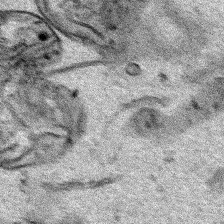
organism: Human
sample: Mitochondria in HCT116 cells